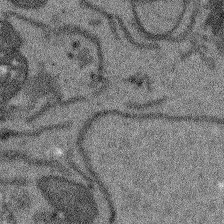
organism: Arabidopsis thaliana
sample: Root tip